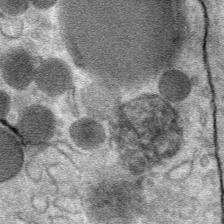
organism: Mouse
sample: Mouse Salivary gland